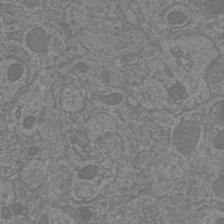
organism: Mouse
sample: Cortical neurons